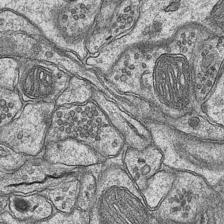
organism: Mouse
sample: CA1 Hippocampus